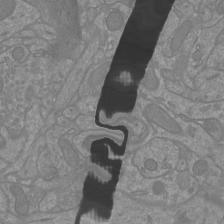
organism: Mouse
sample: Cortical neurons